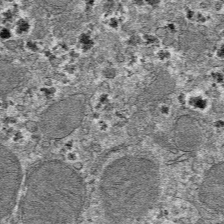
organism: Mouse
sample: Mouse hepatocytes